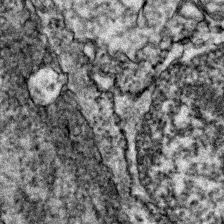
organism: Zebrafish